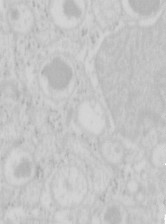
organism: Mouse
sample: Pancreas